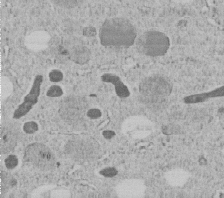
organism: C. elegans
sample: C. elegans embryo early stage